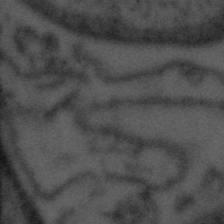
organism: Tuwongella immobilis